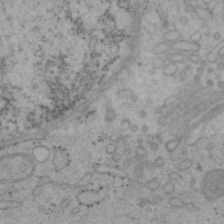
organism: Human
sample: HeLa cells